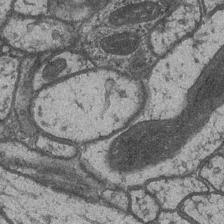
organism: Drosophila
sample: Optic medulla